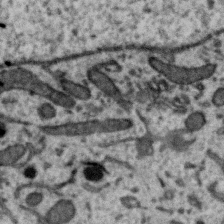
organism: Zebra finch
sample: Brain